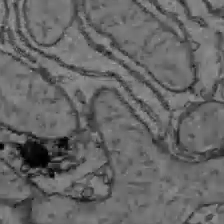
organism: C57BL Mouse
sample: Liver